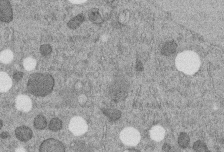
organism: C. elegans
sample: C. elegans embryo early stage